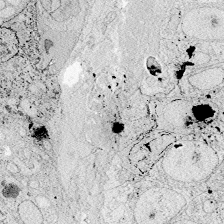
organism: Zebrafish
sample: Whole-Brain